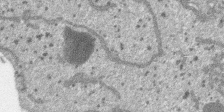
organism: Human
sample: Lung epithelial cells infected with SARS-CoV-2